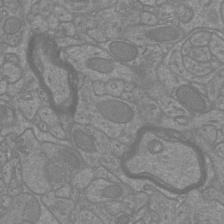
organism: Mouse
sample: Cortical neurons